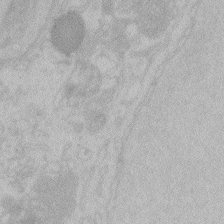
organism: Zebrafish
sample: Macrophage infected with Toxoplasma gondii